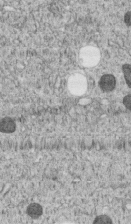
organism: C. elegans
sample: C. elegans embryo early stage